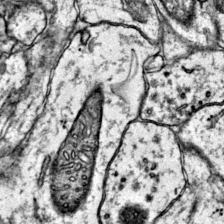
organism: Mouse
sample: Primary visual cortex